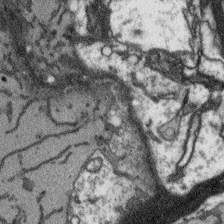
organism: Arabidopsis thaliana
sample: Root tip